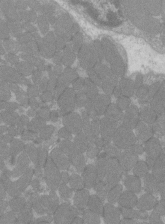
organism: C57BL Mouse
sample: Tibialis anterior muscle cell